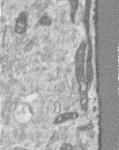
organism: Human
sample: Centriole in RPE cells